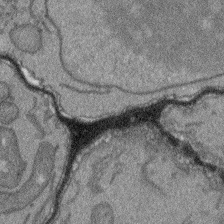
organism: Arabidopsis thaliana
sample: Root tip